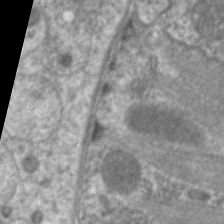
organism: C. elegans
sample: Pharynx